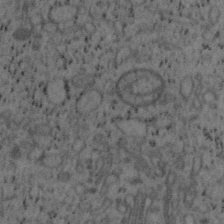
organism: Human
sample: HeLa cells